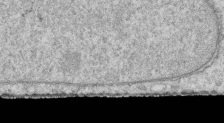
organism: Human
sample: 1205lu cells